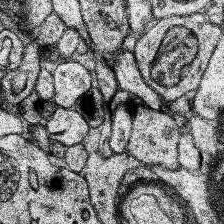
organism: Human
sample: Temporal Lobe